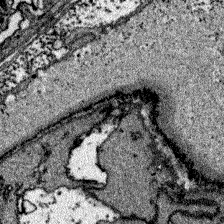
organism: Zebrafish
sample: Larval olfactory bulb